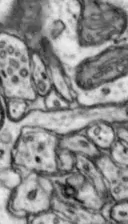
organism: Mouse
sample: Nucleus accumbens